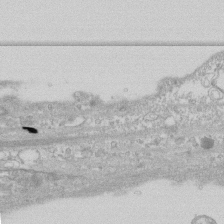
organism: Human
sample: CRL-1474